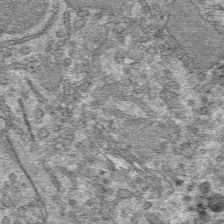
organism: Mouse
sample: Mouse hepatocytes